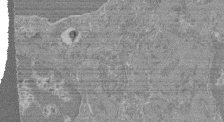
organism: Mouse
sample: Glomerulus